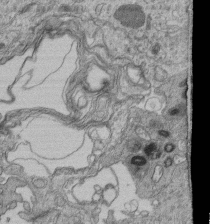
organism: Human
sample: Retinal organoid Rod and Cone cells